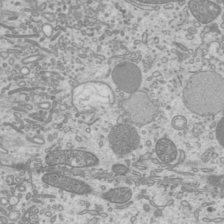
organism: Mouse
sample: Cilia; mouse epididymis